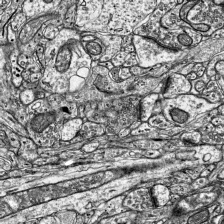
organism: Mouse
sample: Visual Cortex